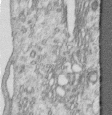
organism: Human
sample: Centriole in RPE cells